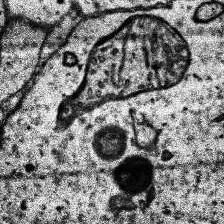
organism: Human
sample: Temporal Lobe